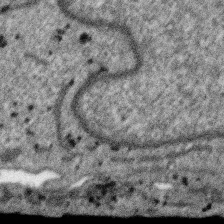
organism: Human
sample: Lung epithelial cells infected with SARS-CoV-2